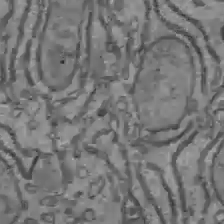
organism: C57BL Mouse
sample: Liver